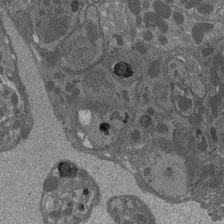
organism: Drosophila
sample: Antenna